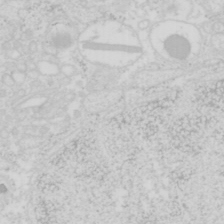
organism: Mouse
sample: Pancreas